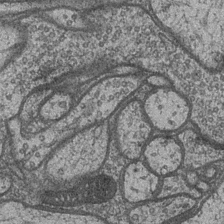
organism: Drosophila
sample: Optic medulla